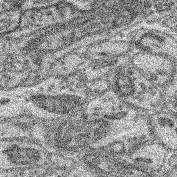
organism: Mouse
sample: Retina